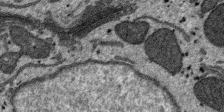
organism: Human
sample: Lung epithelial cells, uninfected (mock) control